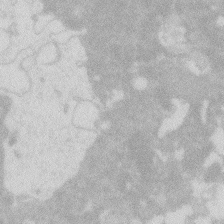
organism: Zebrafish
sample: Macrophage